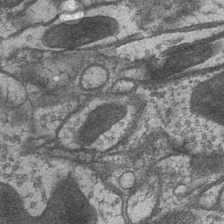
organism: Drosophila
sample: Optic medulla